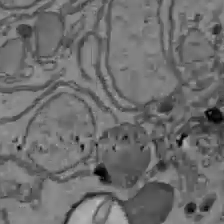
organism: C57BL Mouse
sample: Liver